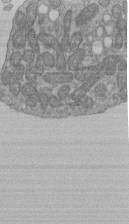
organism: Human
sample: Retinal organoid Rod and Cone cells